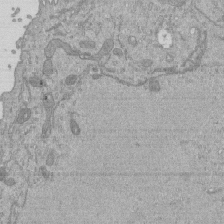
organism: Mouse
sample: ED-1 cell nuclei; centrioles